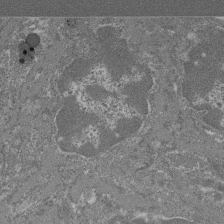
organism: Mouse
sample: Glomerulus